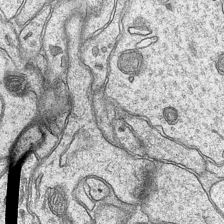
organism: Mouse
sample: CA1 Hippocampus